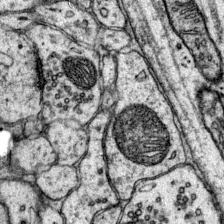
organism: Mouse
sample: Primary visual cortex